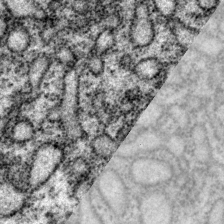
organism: P. pacificus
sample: Pharynx